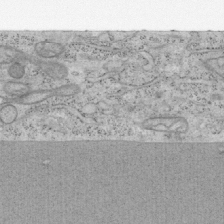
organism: Human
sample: HeLa cells